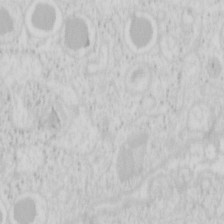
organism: Mouse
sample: Pancreas